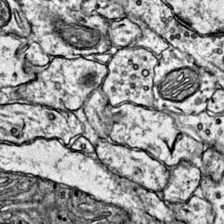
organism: Mouse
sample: Primary visual cortex